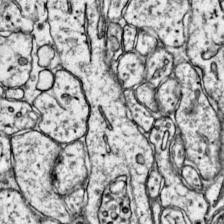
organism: Mouse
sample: Primary visual cortex